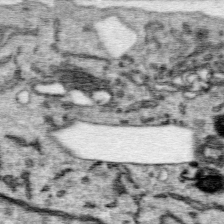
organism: Human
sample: HeLa cells